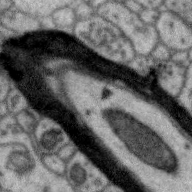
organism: Zebra finch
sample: Brain